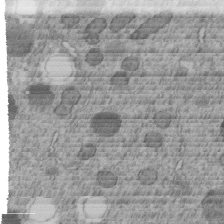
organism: C. elegans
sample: C. elegans embryo early stage